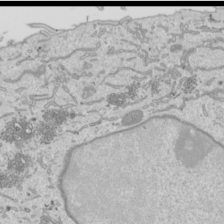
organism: Human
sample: Mitochondria in HCT116 cells